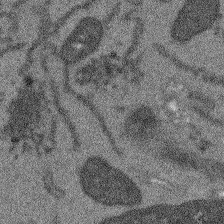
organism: Arabidopsis thaliana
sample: Root tip